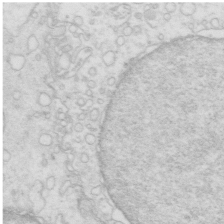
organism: Mouse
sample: Multiciliated cells